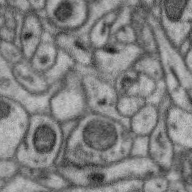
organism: Zebra finch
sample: Brain